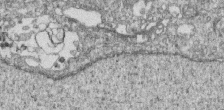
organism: Human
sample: HeLa cell HIV synapse